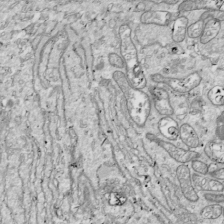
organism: Drosophila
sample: Cell division; meiosis; drosophila spermatocytes